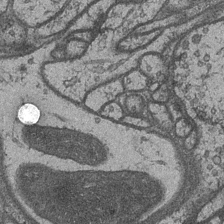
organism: Drosophila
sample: Optic medulla